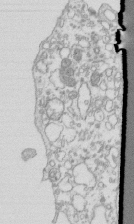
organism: Mouse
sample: Macrophages